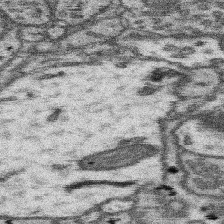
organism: Mouse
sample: Somatosensory cortex neuropil